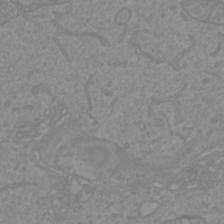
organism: Mouse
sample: Cortical neurons